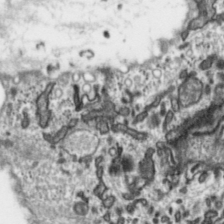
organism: Toxoplasma gondii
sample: Parasites in a vacuole inside a host cell